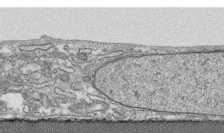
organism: Human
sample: CRL-1474